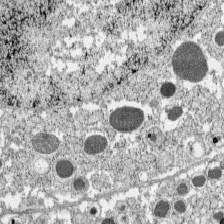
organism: C57BL Mouse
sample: Pancreatic islet